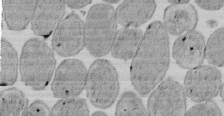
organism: E. coli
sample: Bacterial nucleoid